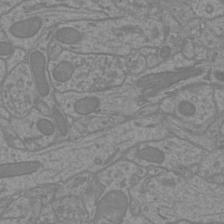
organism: Mouse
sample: Cortical neurons